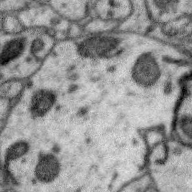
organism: Zebra finch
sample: Brain